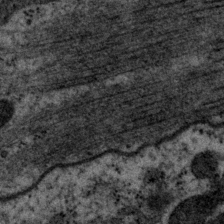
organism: P. pacificus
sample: Pharynx